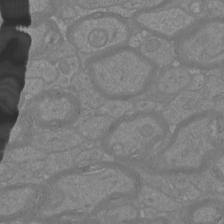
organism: Mouse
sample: Cortical neurons